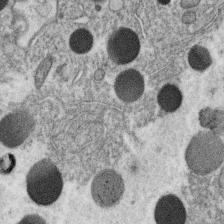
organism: C. elegans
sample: C. elegans oocyte; sperm cells